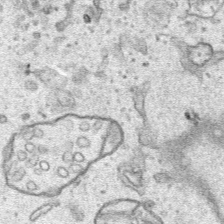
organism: Human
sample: Mitochondria in HCT116 cells